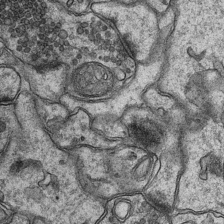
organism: Mouse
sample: CA1 Hippocampus